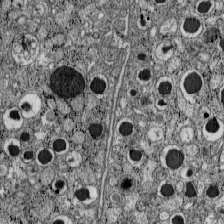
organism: C57BL Mouse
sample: Pancreatic islet